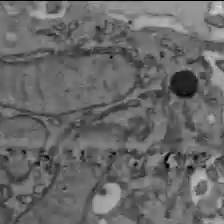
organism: C57BL Mouse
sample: Liver